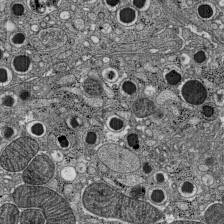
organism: C57BL Mouse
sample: Pancreatic islet